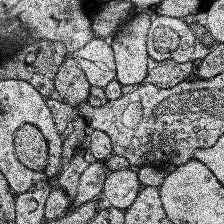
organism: Human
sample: Temporal Lobe